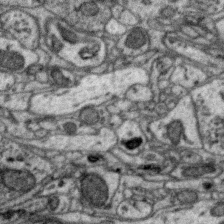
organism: Zebra finch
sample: Brain